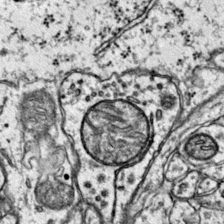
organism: Mouse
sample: Primary visual cortex